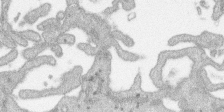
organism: Human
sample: Lung epithelial cells infected with SARS-CoV-2